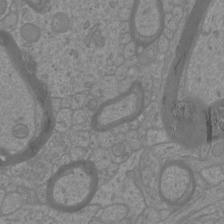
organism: Mouse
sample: Cortical neurons